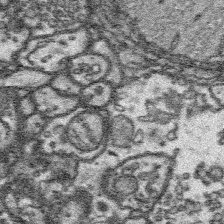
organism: Platynereis dumerilii